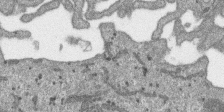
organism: Human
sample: Lung epithelial cells infected with SARS-CoV-2